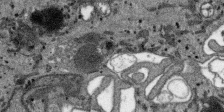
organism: Human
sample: Lung epithelial cells, uninfected (mock) control